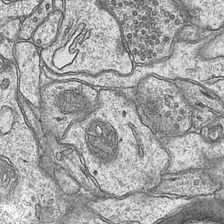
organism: Mouse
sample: CA1 Hippocampus